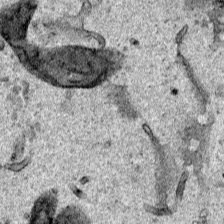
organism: Human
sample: Mitochondria in HCT116 cells